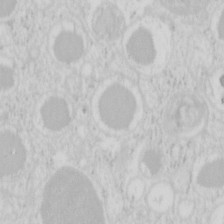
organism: Mouse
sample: Pancreas